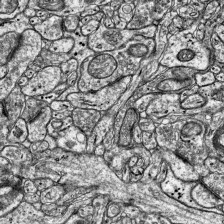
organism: Mouse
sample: Visual Cortex